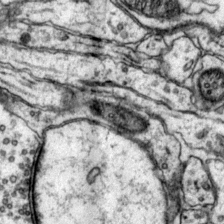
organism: Mouse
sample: Primary visual cortex